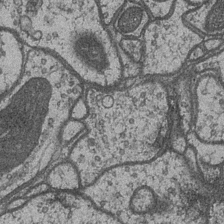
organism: Drosophila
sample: Optic medulla